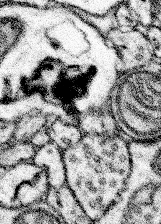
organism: Mouse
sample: Somatosensory cortex neuropil